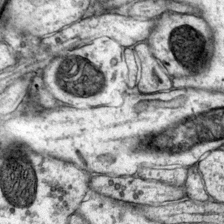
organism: Mouse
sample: Primary visual cortex